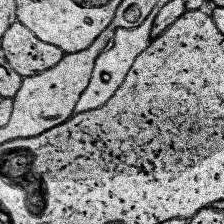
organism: Human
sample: Temporal Lobe